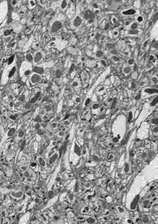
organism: Drosophila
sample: Optic lobe